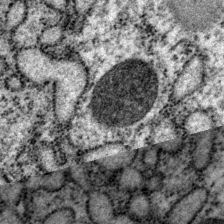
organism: P. pacificus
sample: Pharynx